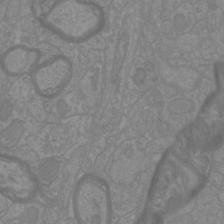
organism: Mouse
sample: Cortical neurons